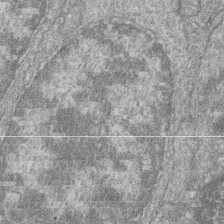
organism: Zebrafish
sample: Cilia; retinal pigment epithelium